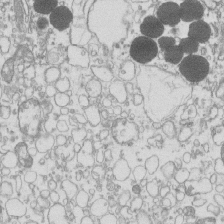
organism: Mouse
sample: Macrophages